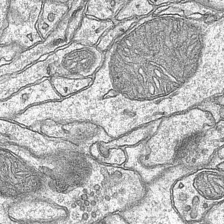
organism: Mouse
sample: CA1 Hippocampus